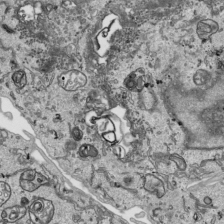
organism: Human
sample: Mitochondria in HCT116 cells